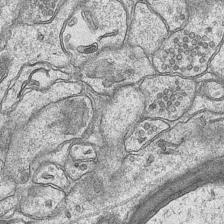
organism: Mouse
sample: CA1 Hippocampus